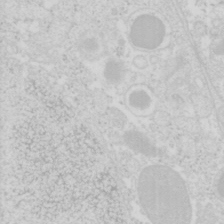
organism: Mouse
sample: Pancreas